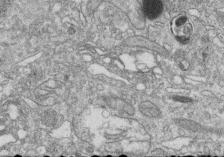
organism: Human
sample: HeLa cell HIV synapse